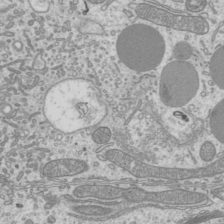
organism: Mouse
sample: Cilia; mouse epididymis